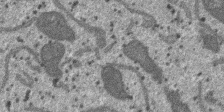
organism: Human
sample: Lung epithelial cells infected with SARS-CoV-2